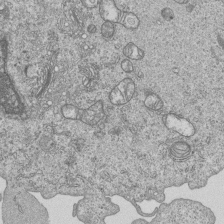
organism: Human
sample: MDA-MB-231 cells